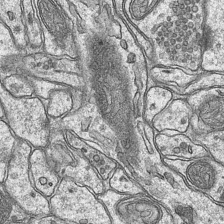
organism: Mouse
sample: CA1 Hippocampus